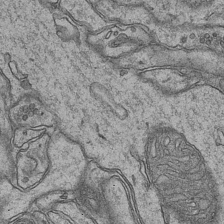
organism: Mouse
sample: CA1 Hippocampus